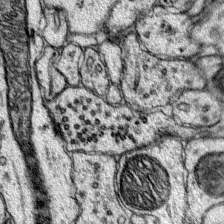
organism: Mouse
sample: Primary visual cortex